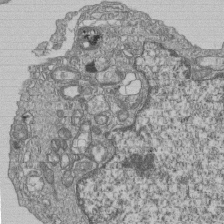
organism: Human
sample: MDA-MB-231 cells